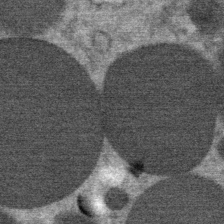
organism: Mouse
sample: Mouse Salivary gland